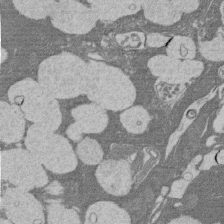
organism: Rat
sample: Salivary granule